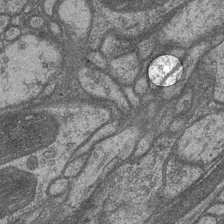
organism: Drosophila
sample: Optic medulla